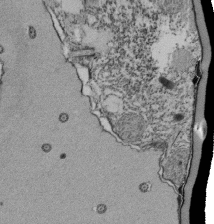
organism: Tetrahymena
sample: Cilia in tetrahymena